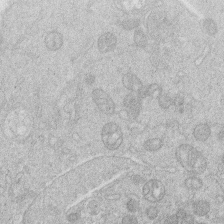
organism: Human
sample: Macrophage cells